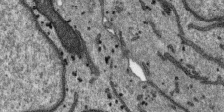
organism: Human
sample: Lung epithelial cells, uninfected (mock) control